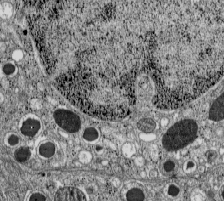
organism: C57BL Mouse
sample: Pancreatic islet